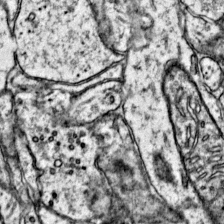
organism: Mouse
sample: Primary visual cortex